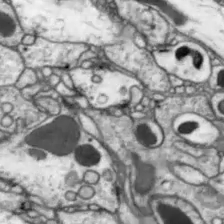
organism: Drosophila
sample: Optic lobe